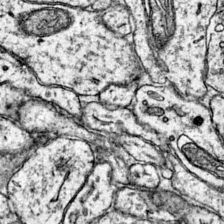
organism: Mouse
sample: Primary visual cortex